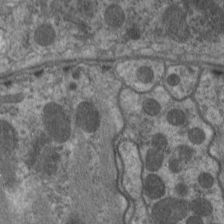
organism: C. elegans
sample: Pharynx